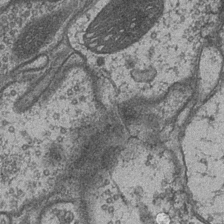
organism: Drosophila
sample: Optic medulla